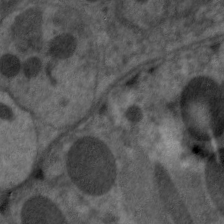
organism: C. elegans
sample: Pharynx